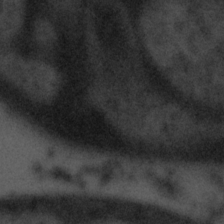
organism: Tuwongella immobilis